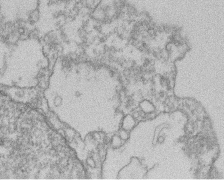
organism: Mouse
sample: T cell stromal cell synapse